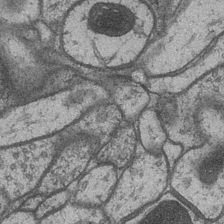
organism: Drosophila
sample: Optic medulla